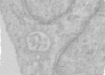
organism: Human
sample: Centriole in RPE cells